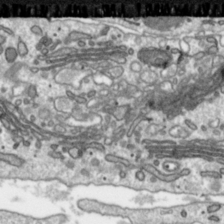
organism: Toxoplasma gondii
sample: Parasites in a vacuole inside a host cell